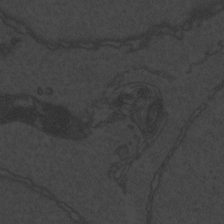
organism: Zebrafish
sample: Macrophage infected with Toxoplasma gondii